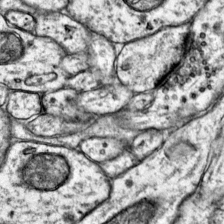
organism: Mouse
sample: Primary visual cortex